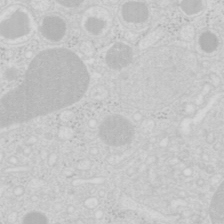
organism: Mouse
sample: Pancreas